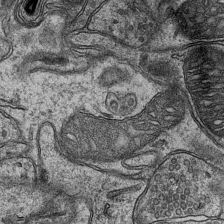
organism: Mouse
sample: CA1 Hippocampus